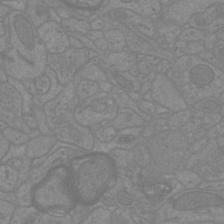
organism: Mouse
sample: Cortical neurons